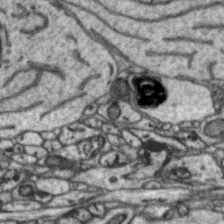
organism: Zebra finch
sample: Brain